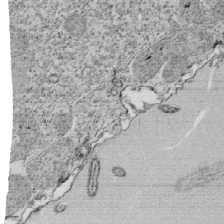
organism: Tetrahymena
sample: Cilia in tetrahymena